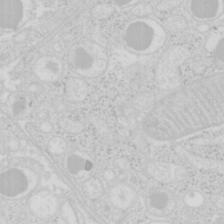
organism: Mouse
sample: Pancreas